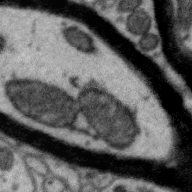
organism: Zebra finch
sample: Brain